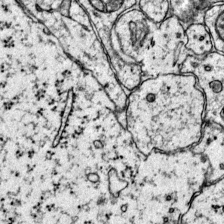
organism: Mouse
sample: Primary visual cortex